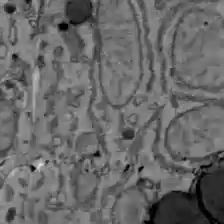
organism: C57BL Mouse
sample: Liver